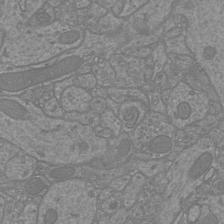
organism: Mouse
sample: Cortical neurons